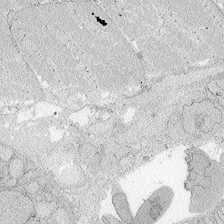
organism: Zebrafish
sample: Whole-Brain